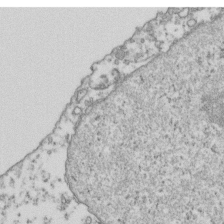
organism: Human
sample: Activated Jurkat CD4+ T cells